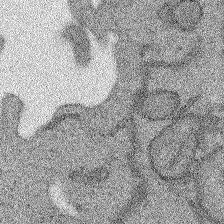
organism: Human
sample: HeLa cells